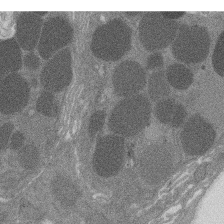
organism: Rat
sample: Salivary granule